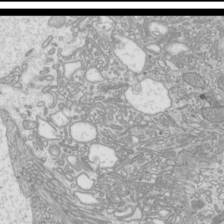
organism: Mouse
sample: Cilia; mouse epididymis